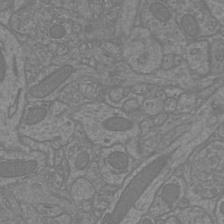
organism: Mouse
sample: Cortical neurons